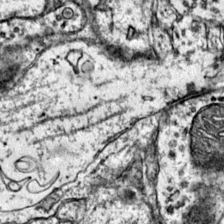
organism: Mouse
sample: Primary visual cortex